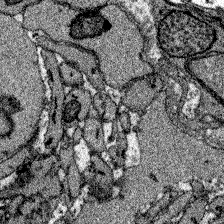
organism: Zebrafish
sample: Larval olfactory bulb